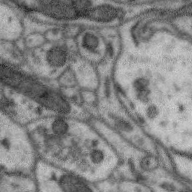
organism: Zebra finch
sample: Brain